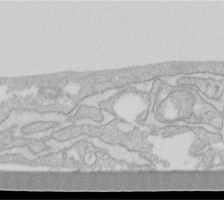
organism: Human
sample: Fibroblast cells